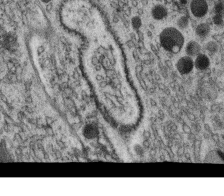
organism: C. elegans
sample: C. elegans oocyte; sperm cells